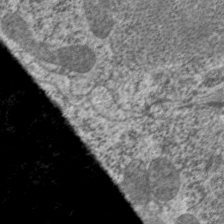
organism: C. elegans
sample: Pharynx